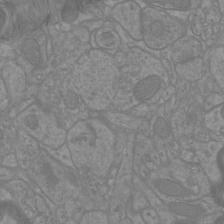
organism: Mouse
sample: Cortical neurons